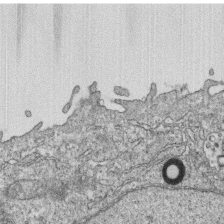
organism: Human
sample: HeLa cell HIV synapse